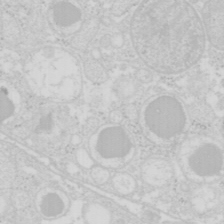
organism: Mouse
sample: Pancreas